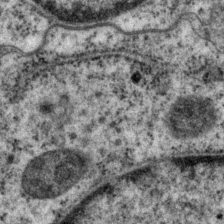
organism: P. pacificus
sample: Pharynx